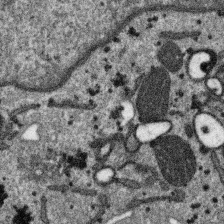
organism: Human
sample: Lung epithelial cells infected with SARS-CoV-2